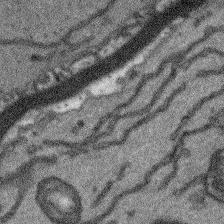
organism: Arabidopsis thaliana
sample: Root tip